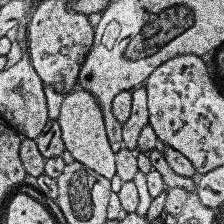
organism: Human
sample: Temporal Lobe